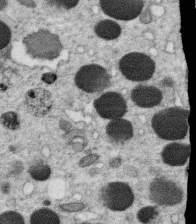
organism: C. elegans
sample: C. elegans oocyte; sperm cells